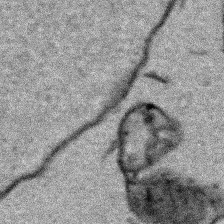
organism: Human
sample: Mitochondria in HCT116 cells